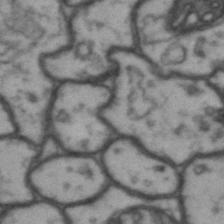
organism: Drosophila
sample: Brain